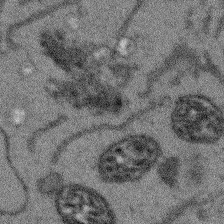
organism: Arabidopsis thaliana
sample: Root tip